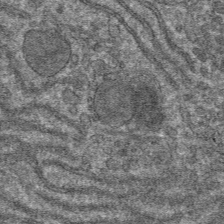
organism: Mouse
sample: Mouse hepatocytes